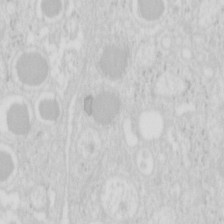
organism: Mouse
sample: Pancreas